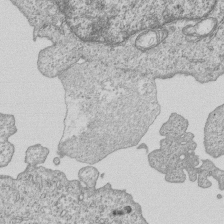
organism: Human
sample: MDA-MB-231 cells